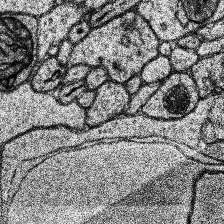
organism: Human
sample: Temporal Lobe